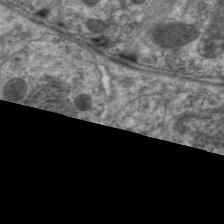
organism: C. elegans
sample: Pharynx